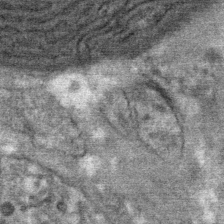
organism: Mouse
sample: Mouse Salivary gland